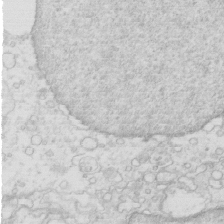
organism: Mouse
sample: Multiciliated cells